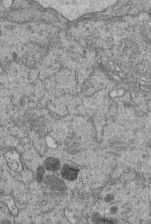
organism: Human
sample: Retinal organoid Rod and Cone cells